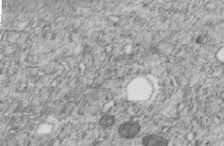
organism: C. elegans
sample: C. elegans embryo early stage